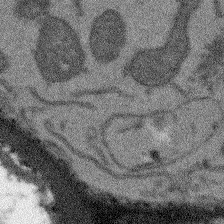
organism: Arabidopsis thaliana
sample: Root tip